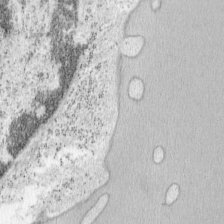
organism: Mouse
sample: OT-I killer T cells with ID8 ovarian cancer cells